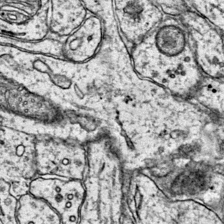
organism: Mouse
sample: Primary visual cortex